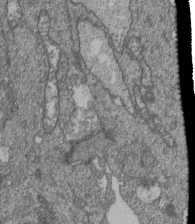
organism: Human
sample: Retinal organoid Rod and Cone cells